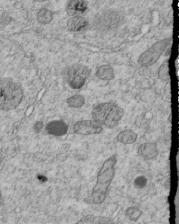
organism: C. elegans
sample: C. elegans embryo early stage